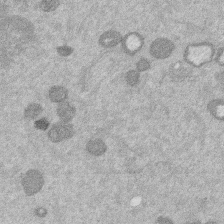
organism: Mouse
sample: Dividing mouse embryo 1 cell stage